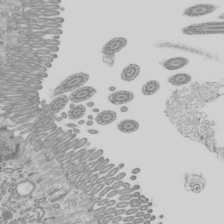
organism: Mouse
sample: Cilia; mouse epididymis